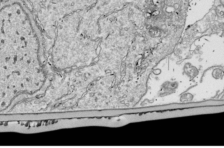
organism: Drosophila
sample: Cell division; meiosis; drosophila spermatocytes